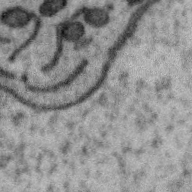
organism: Zebra finch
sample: Brain